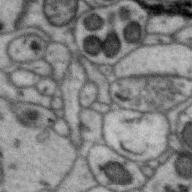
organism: Zebra finch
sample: Brain